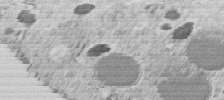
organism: C. elegans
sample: C. elegans embryo early stage